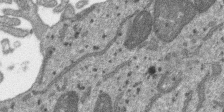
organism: Human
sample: Lung epithelial cells infected with SARS-CoV-2